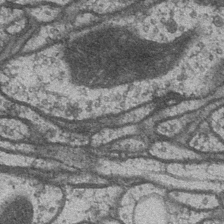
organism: Drosophila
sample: Optic medulla